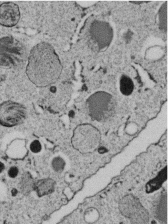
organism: C. elegans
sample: C. elegans embryo early stage